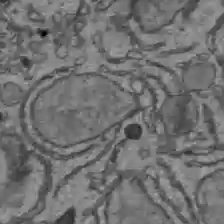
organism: C57BL Mouse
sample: Liver